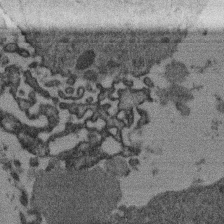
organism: Mouse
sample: Dividing mouse embryo 1 cell stage